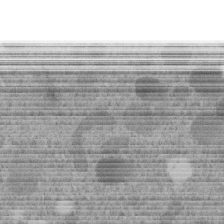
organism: C. elegans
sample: C. elegans embryo early stage